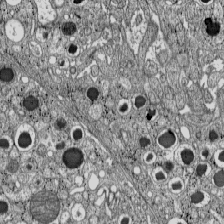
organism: C57BL Mouse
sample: Pancreatic islet